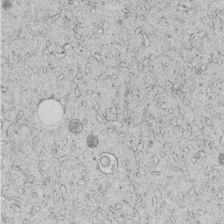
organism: C. elegans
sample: C. elegans embryo early stage